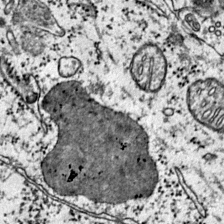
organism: Mouse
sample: Primary visual cortex